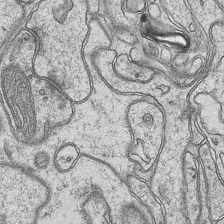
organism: Mouse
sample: CA1 Hippocampus